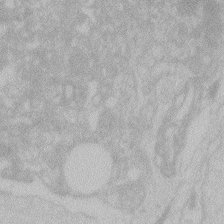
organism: Zebrafish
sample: Macrophage infected with Toxoplasma gondii